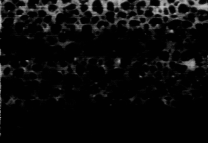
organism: Human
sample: Centriole in RPE cells